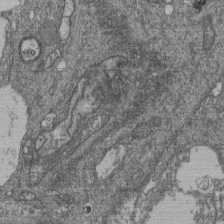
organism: Human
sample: Retinal organoid Rod and Cone cells